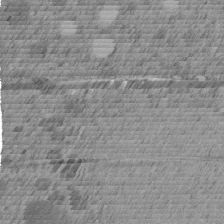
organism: C. elegans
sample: C. elegans embryo early stage